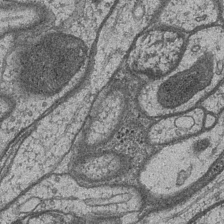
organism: Drosophila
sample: Optic medulla